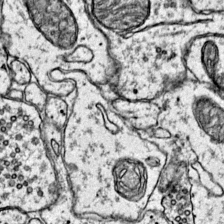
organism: Mouse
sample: Primary visual cortex